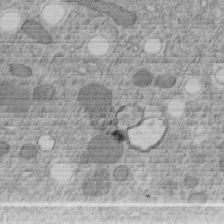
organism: C. elegans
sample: C. elegans embryo early stage